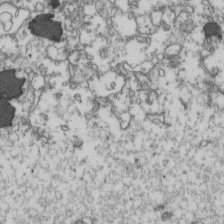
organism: Human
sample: Activated Jurkat CD4+ T cells